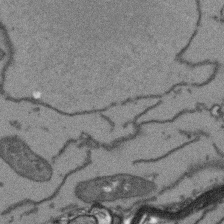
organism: Arabidopsis thaliana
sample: Root tip